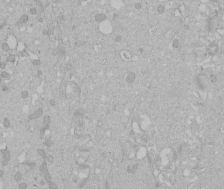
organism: Human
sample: Melanocyte Keratinocyte synapse skin construct